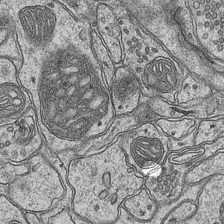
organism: Mouse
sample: CA1 Hippocampus